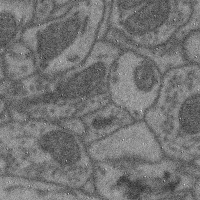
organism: Mouse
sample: Cerebral cortex